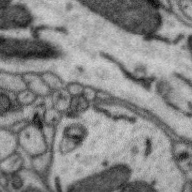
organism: Zebra finch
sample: Brain